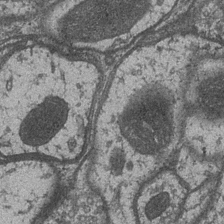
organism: Drosophila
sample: Optic medulla